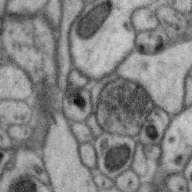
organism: Zebra finch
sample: Brain